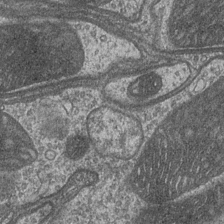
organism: Drosophila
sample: Optic medulla